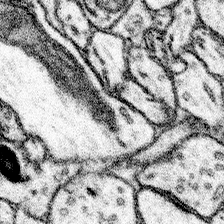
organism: Mouse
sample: Somatosensory cortex neuropil